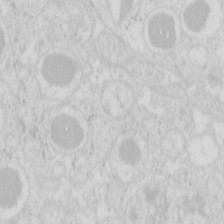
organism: Mouse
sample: Pancreas